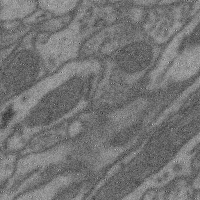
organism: Mouse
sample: Cerebral cortex